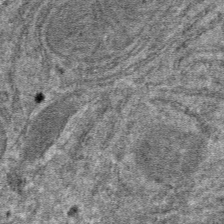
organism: Mouse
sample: Mouse hepatocytes